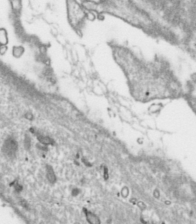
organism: Toxoplasma gondii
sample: Parasites in a vacuole inside a host cell